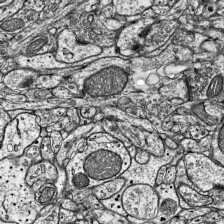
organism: Mouse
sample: Visual Cortex